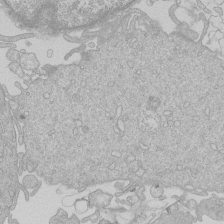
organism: Human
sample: Macrophage cells